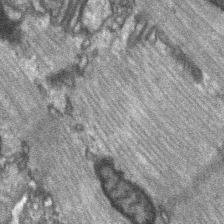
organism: C57BL Mouse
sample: Soleus